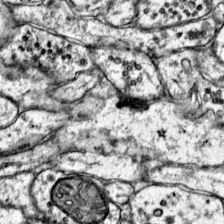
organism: Mouse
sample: Primary visual cortex